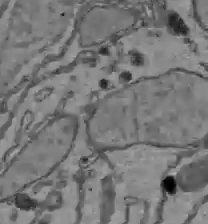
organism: C57BL Mouse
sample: Liver